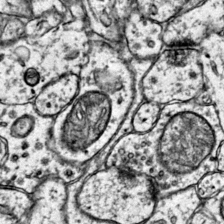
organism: Mouse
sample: Primary visual cortex